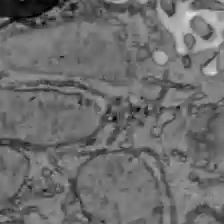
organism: C57BL Mouse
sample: Liver